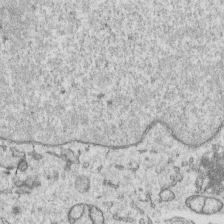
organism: Human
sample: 1205lu cells